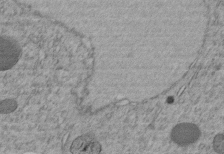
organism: C. elegans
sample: C. elegans embryo early stage